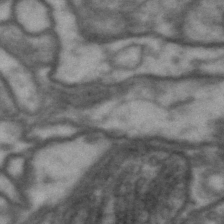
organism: Drosophila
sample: Brain